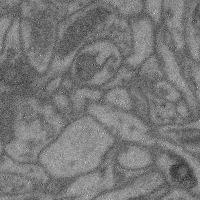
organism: Mouse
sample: Cerebral cortex